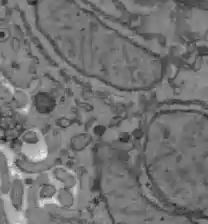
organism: C57BL Mouse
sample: Liver